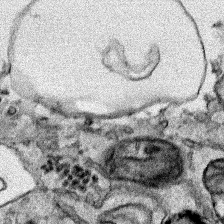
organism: Human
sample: Mitochondria in HCT116 cells